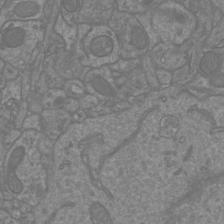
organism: Mouse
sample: Cortical neurons